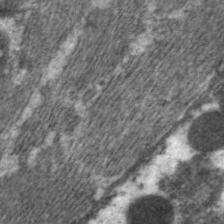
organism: C. elegans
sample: Pharynx